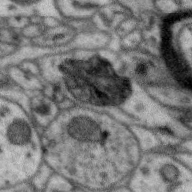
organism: Zebra finch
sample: Brain